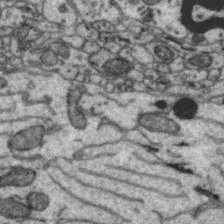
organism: Zebra finch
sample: Brain